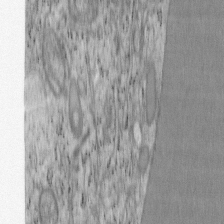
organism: Human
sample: HeLa cells